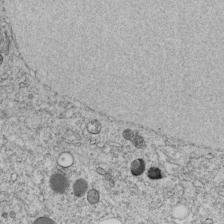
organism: C. elegans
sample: C. elegans embryo early stage